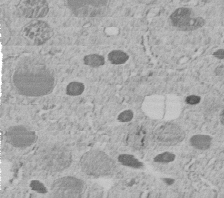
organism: C. elegans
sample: C. elegans embryo early stage